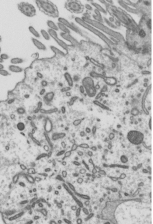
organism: Mouse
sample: Mouse epididymis efferent ductule cilia